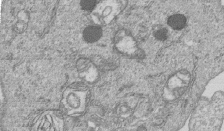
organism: Human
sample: MDA-MB-231 cells